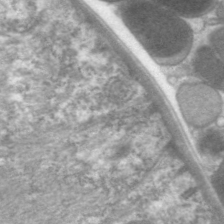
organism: C. elegans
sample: Pharynx